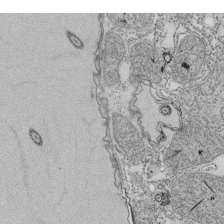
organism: Tetrahymena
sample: Cilia in tetrahymena